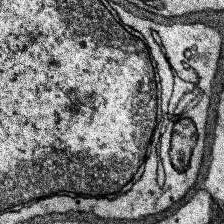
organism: Human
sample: Temporal Lobe